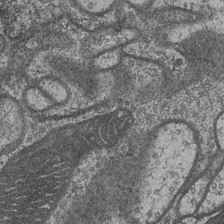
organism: Drosophila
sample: Optic medulla